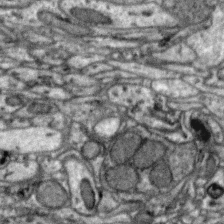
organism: Zebra finch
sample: Brain